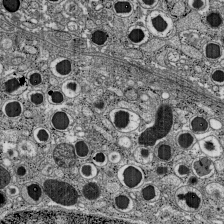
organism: C57BL Mouse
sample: Pancreatic islet